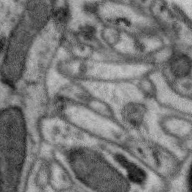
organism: Zebra finch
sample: Brain